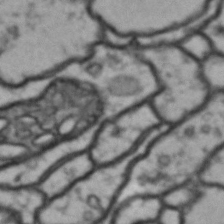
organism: Drosophila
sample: Brain